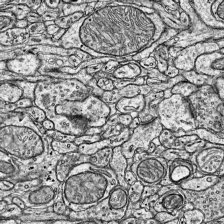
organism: Mouse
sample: Visual Cortex